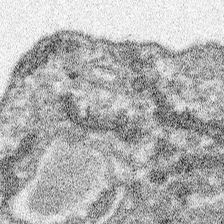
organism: Spongilla lacustris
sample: Neuroid cell